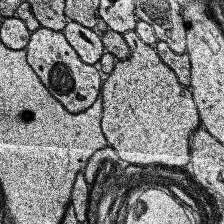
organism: Human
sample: Temporal Lobe